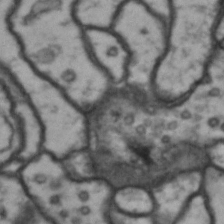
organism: Drosophila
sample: Brain